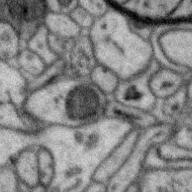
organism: Zebra finch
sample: Brain